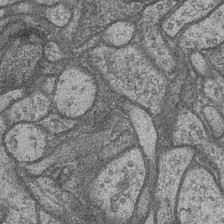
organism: Drosophila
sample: Optic medulla